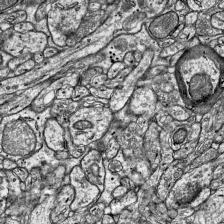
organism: Mouse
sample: Visual Cortex